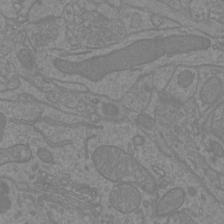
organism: Mouse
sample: Cortical neurons